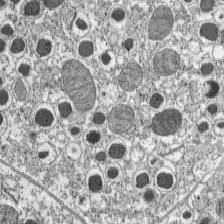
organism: C57BL Mouse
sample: Pancreatic islet